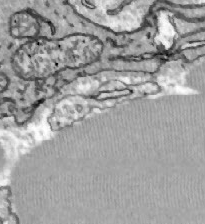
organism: Zebrafish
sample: Actinotrichia fibers